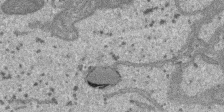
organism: Human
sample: Lung epithelial cells infected with SARS-CoV-2